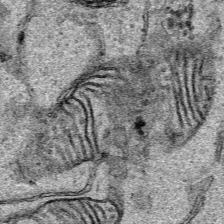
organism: Human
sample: Mitochondria in HCT116 cells